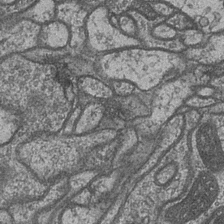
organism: Drosophila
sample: Optic medulla